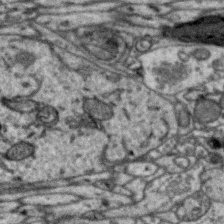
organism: Zebra finch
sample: Brain